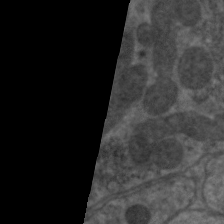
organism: C. elegans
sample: Pharynx